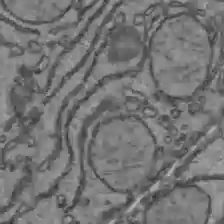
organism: C57BL Mouse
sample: Liver